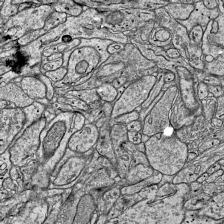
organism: Mouse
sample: Visual Cortex